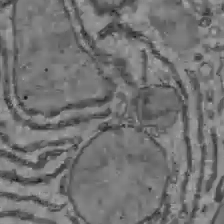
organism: C57BL Mouse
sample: Liver